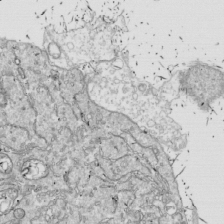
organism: Drosophila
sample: Cell division; meiosis; drosophila spermatocytes